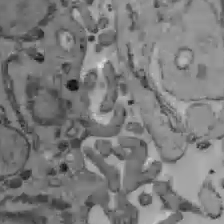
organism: C57BL Mouse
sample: Liver